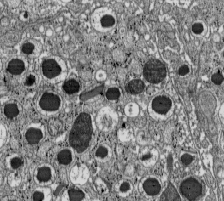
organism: C57BL Mouse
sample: Pancreatic islet